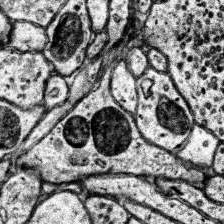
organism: Human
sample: Temporal Lobe